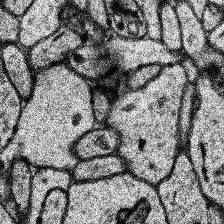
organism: Human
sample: Temporal Lobe